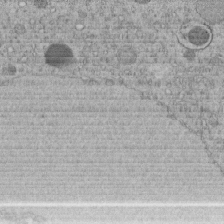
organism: C. elegans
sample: C. elegans embryo early stage